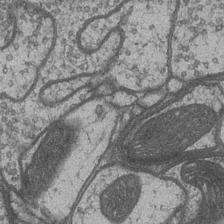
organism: Drosophila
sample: Optic medulla